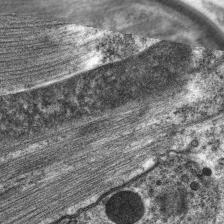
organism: C. elegans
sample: Pharynx